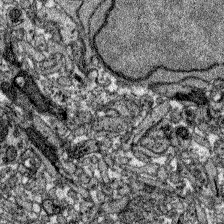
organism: Zebrafish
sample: Larval olfactory bulb